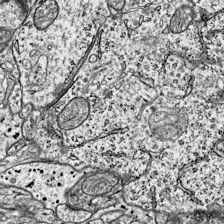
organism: Mouse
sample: Visual Cortex